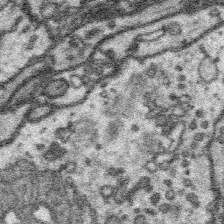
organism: Platynereis dumerilii